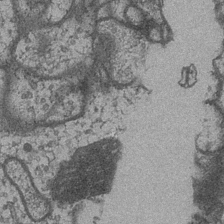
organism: Drosophila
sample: Optic medulla